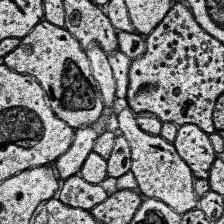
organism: Human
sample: Temporal Lobe